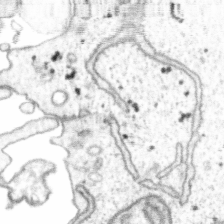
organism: Human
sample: HeLa cells